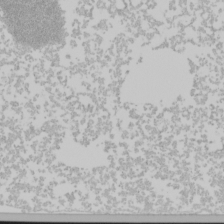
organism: Mouse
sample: Cancer cell death in ED-1 cells